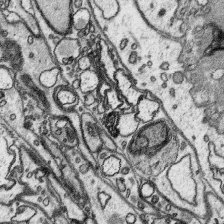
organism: Platynereis dumerilii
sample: Parapodia